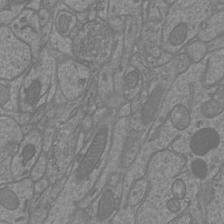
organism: Mouse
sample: Cortical neurons